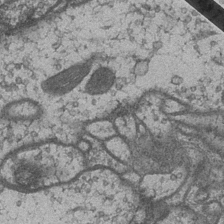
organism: Drosophila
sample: Optic medulla